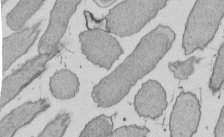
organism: E. coli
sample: Bacterial nucleoid